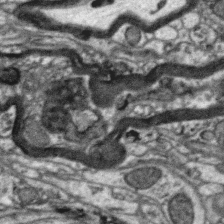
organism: Zebra finch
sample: Brain